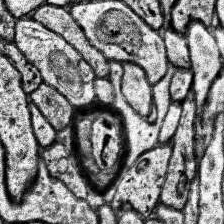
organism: Human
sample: Temporal Lobe